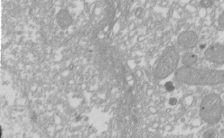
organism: Xenopus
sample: Cilia; centrioles in frog embryo cells